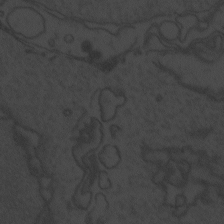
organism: Zebrafish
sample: Macrophage infected with Toxoplasma gondii